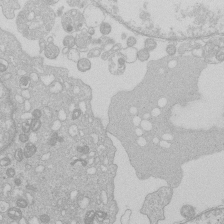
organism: Human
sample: Macrophage cells